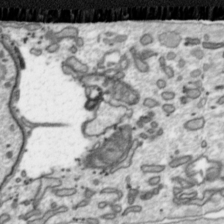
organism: Toxoplasma gondii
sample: Parasites in a vacuole inside a host cell